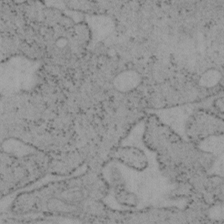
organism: Mouse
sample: OT-I killer T cells with ID8 ovarian cancer cells